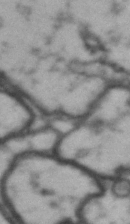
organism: Drosophila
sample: Brain